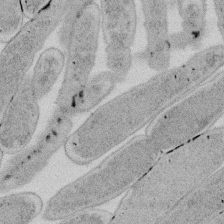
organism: E. coli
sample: Bacterial nucleoid